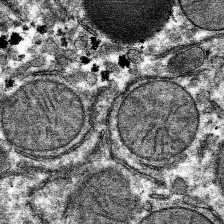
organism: Mouse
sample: Mouse hepatocytes